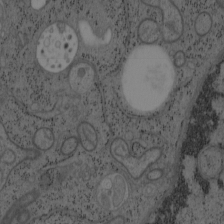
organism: Mouse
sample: OT-I killer T cells with ID8 ovarian cancer cells